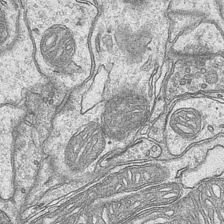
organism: Mouse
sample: CA1 Hippocampus